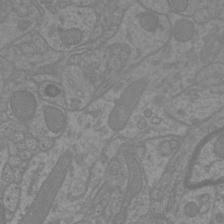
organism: Mouse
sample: Cortical neurons